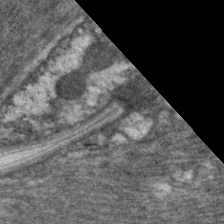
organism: C. elegans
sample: Pharynx